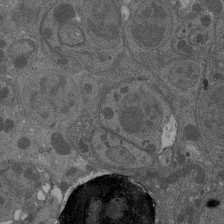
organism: Drosophila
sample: Antenna